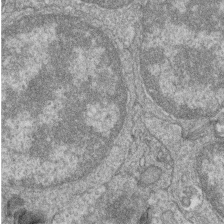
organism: Zebrafish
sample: Cilia; retinal pigment epithelium